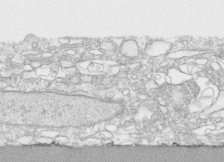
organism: Human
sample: CRL-1474